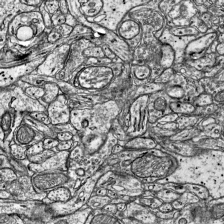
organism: Mouse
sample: Visual Cortex